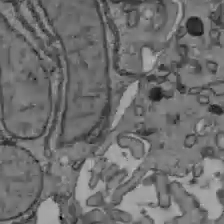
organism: C57BL Mouse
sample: Liver